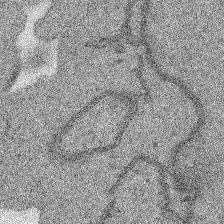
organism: Human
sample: HeLa cells